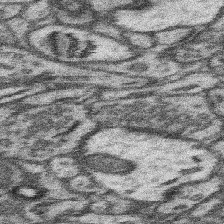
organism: Mouse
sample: Somatosensory cortex neuropil